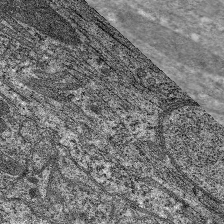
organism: C. elegans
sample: Pharynx